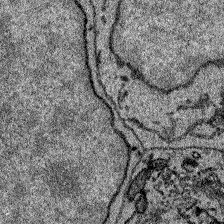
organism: Zebrafish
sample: Larval olfactory bulb